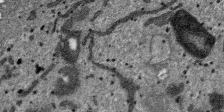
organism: Human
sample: Lung epithelial cells, uninfected (mock) control